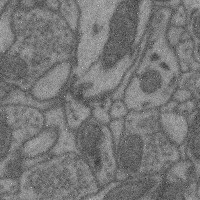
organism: Mouse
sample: Cerebral cortex